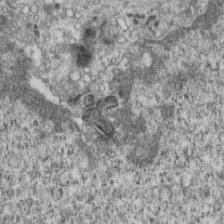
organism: Mouse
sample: Centriole in ependymal cells